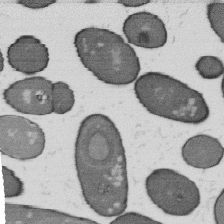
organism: B. subtilis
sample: Bacterial spore